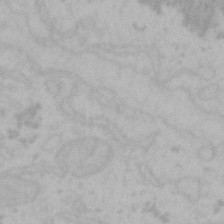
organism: Mouse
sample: Choroid plexus